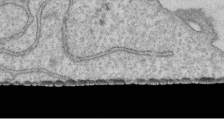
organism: Human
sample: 1205lu cells